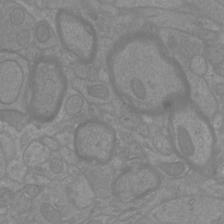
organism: Mouse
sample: Cortical neurons